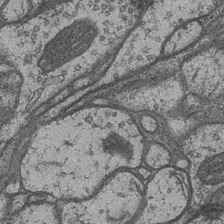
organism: Drosophila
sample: Optic medulla